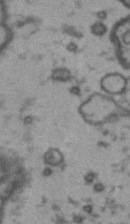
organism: Drosophila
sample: Brain